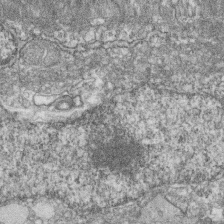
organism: Zebrafish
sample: Cilia; retinal pigment epithelium